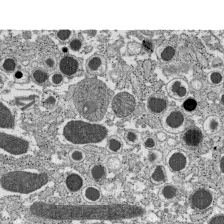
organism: C57BL Mouse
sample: Pancreatic islet